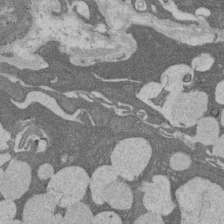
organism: Rat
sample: Salivary granule